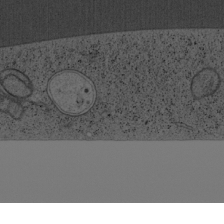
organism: African green monkey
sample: COS-7 cells